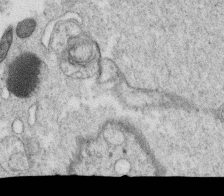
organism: C. elegans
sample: C. elegans oocyte; sperm cells